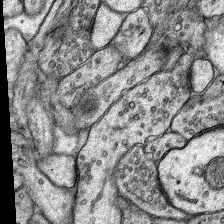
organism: Rat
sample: Hippocampus